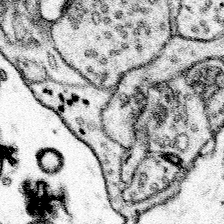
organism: Mouse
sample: Somatosensory cortex neuropil